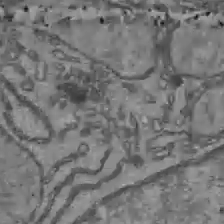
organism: C57BL Mouse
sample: Liver